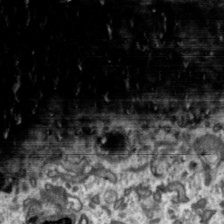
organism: Toxoplasma gondii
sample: Parasites in a vacuole inside a host cell